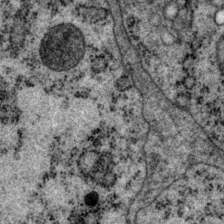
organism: P. pacificus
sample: Pharynx